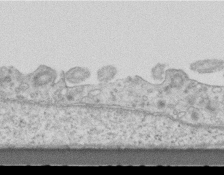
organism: Mouse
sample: Centriole in ependymal cells